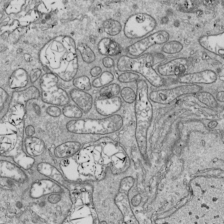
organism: Drosophila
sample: Cell division; meiosis; drosophila spermatocytes